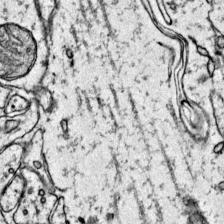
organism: Mouse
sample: Primary visual cortex